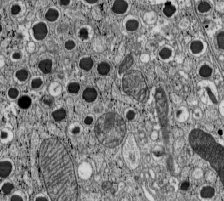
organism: C57BL Mouse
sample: Pancreatic islet